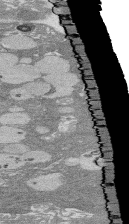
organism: Rat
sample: Salivary granule